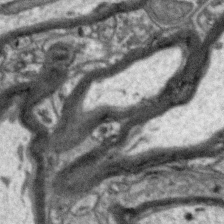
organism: Zebra finch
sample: Brain